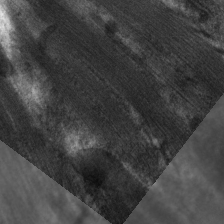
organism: C. elegans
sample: Pharynx